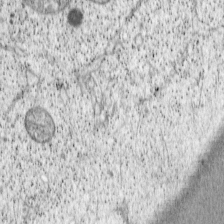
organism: African green monkey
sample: COS-7 cells